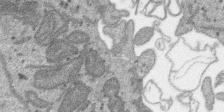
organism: Human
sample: Lung epithelial cells infected with SARS-CoV-2